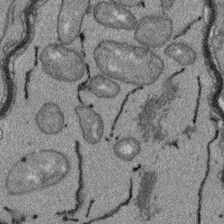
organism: Arabidopsis thaliana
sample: Root tip